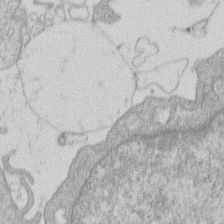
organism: Human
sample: Macrophage cells